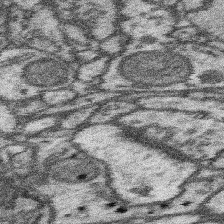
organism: Mouse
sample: Somatosensory cortex neuropil